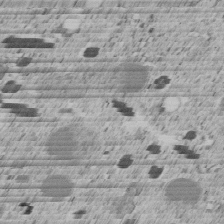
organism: C. elegans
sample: C. elegans embryo early stage